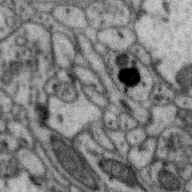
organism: Zebra finch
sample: Brain